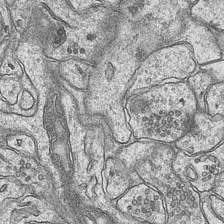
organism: Mouse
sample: CA1 Hippocampus